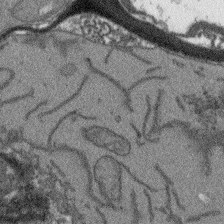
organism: Arabidopsis thaliana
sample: Root tip